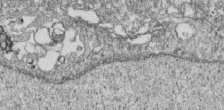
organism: Human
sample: HeLa cell HIV synapse